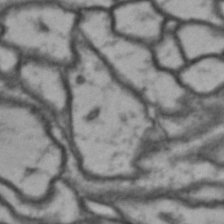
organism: Drosophila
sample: Brain